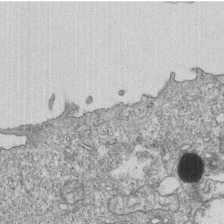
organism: Human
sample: HeLa cell HIV synapse